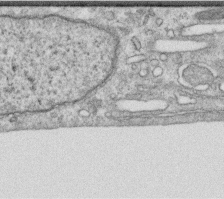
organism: Human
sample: Centriole in RPE cells